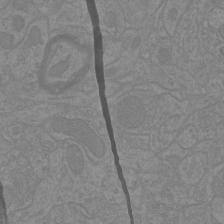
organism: Mouse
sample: Cortical neurons